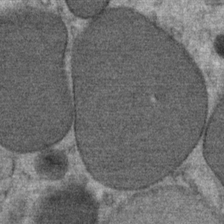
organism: Mouse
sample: Mouse Salivary gland